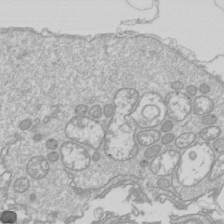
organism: Drosophila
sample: Cell division; meiosis; drosophila spermatocytes